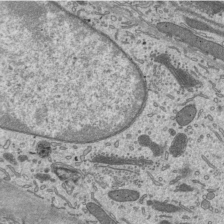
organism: Mouse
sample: Mouse epididymis efferent ductule cilia